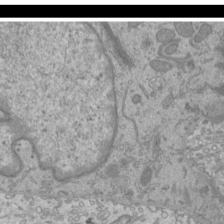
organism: Mouse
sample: Cilia; mouse epididymis